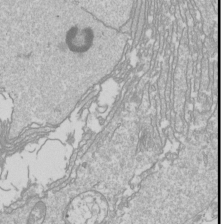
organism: Drosophila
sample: Cell division; meiosis; drosophila spermatocytes